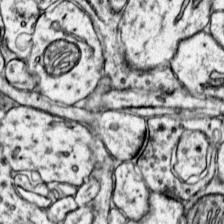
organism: Mouse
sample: Primary visual cortex